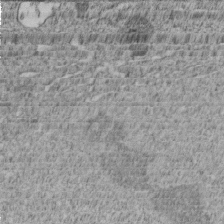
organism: C. elegans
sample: C. elegans embryo early stage